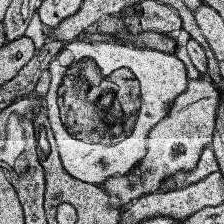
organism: Human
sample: Temporal Lobe